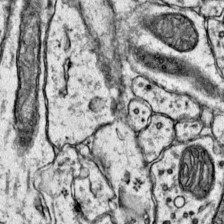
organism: Mouse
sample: Primary visual cortex